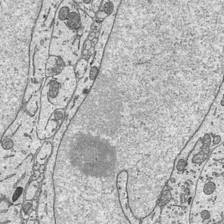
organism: Mouse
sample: Suprachiasmatic nucleus